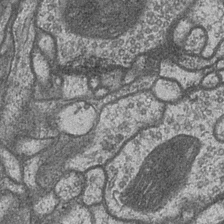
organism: Drosophila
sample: Optic medulla